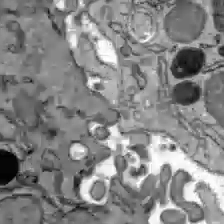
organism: C57BL Mouse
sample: Liver